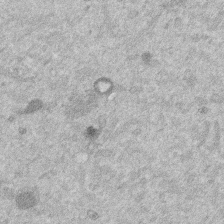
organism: Mouse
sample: Dividing mouse embryo 1 cell stage